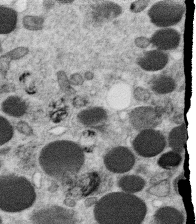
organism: C. elegans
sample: C. elegans oocyte; sperm cells